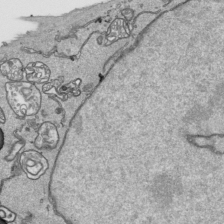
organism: Human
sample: Mitochondria in HCT116 cells